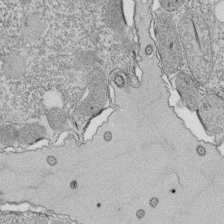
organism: Tetrahymena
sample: Cilia in tetrahymena